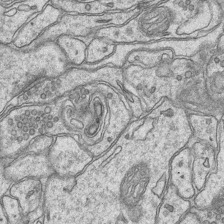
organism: Mouse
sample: CA1 Hippocampus